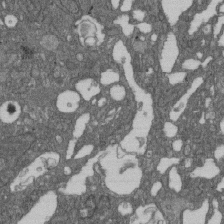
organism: Drosophila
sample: Nephrocyte